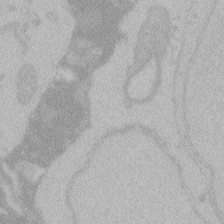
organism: Zebrafish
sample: Macrophage infected with Toxoplasma gondii